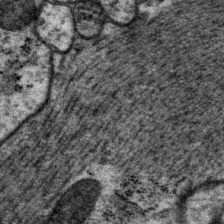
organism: P. pacificus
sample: Pharynx